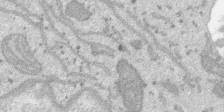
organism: Human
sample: Lung epithelial cells infected with SARS-CoV-2